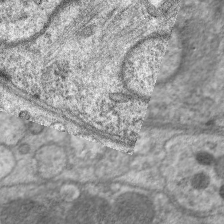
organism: C. elegans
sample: Pharynx